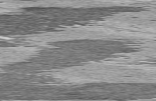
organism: C57BL Mouse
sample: Heart